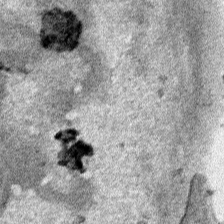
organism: Human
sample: Mitochondria in HCT116 cells